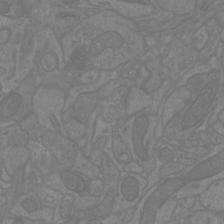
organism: Mouse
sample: Cortical neurons